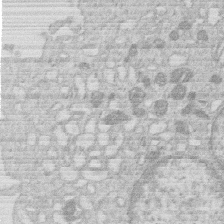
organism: Human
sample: Macrophage cells